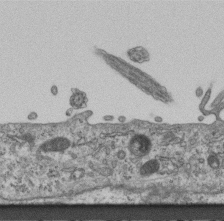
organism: Mouse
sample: Centriole in ependymal cells